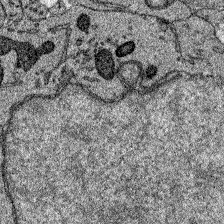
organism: Zebrafish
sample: Larval olfactory bulb